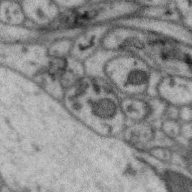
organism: Zebra finch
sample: Brain